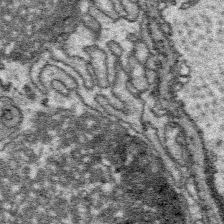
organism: Platynereis dumerilii